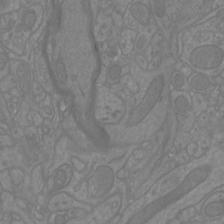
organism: Mouse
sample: Cortical neurons